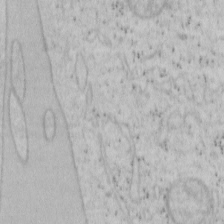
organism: Human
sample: HeLa cells